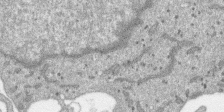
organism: Human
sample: Lung epithelial cells infected with SARS-CoV-2